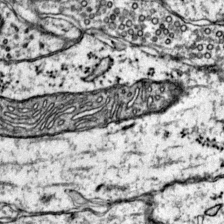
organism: Mouse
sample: Primary visual cortex